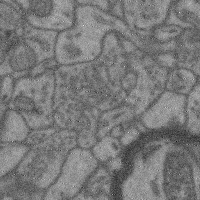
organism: Mouse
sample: Cerebral cortex